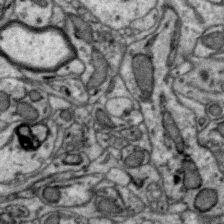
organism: Zebra finch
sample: Brain